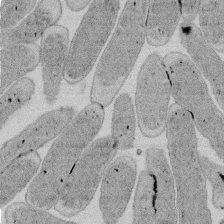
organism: E. coli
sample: Bacterial nucleoid